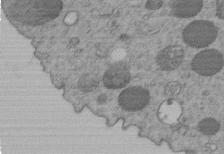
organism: C. elegans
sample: C. elegans embryo early stage